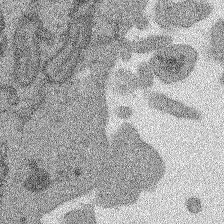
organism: Human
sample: HeLa cells